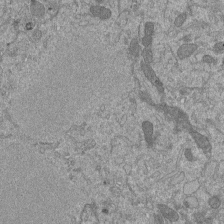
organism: Mouse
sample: ED-1 cell nuclei; centrioles